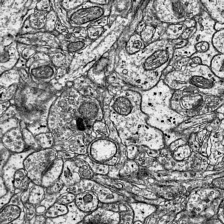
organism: Mouse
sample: Visual Cortex